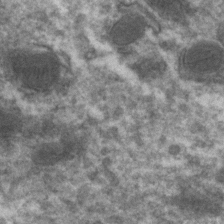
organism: Zebrafish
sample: Zebrafish embryo